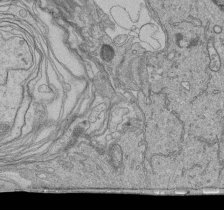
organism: Human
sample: Retinal organoid Rod and Cone cells